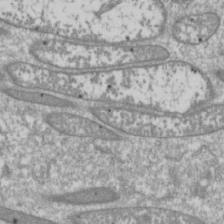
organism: Drosophila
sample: Cell division; meiosis; drosophila spermatocytes